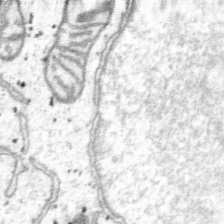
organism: Human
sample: HeLa cells